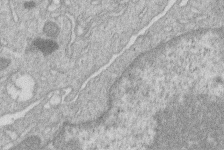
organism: Human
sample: Macrophage cells